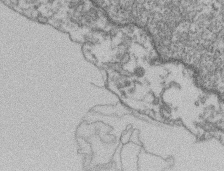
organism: Mouse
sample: T cell stromal cell synapse